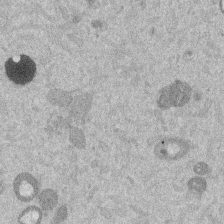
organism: Mouse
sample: Dividing mouse embryo 1 cell stage